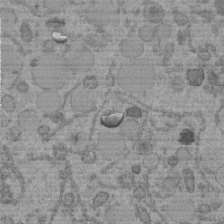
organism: C. elegans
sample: C. elegans embryo early stage